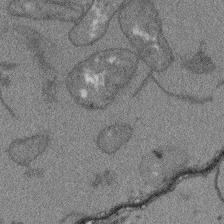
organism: Arabidopsis thaliana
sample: Root tip